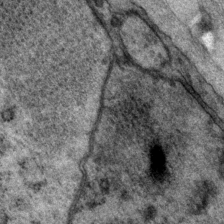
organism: P. pacificus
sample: Pharynx